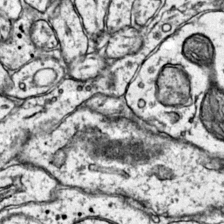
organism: Mouse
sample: Primary visual cortex